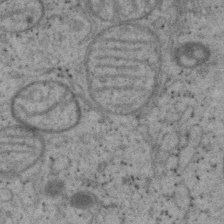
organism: Human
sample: HeLa cells